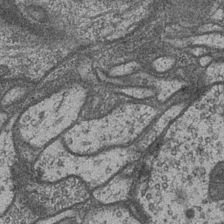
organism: Drosophila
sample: Optic medulla